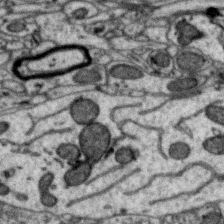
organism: Zebra finch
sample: Brain